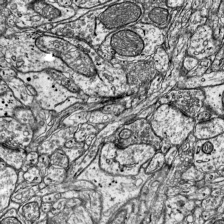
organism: Mouse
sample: Visual Cortex